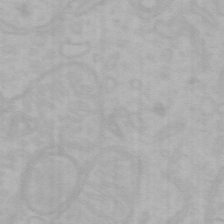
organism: Mouse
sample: Choroid plexus